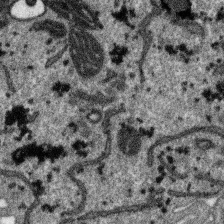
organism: Human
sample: Lung epithelial cells infected with SARS-CoV-2